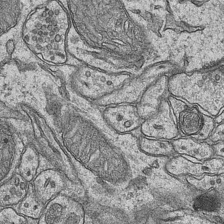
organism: Mouse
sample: CA1 Hippocampus